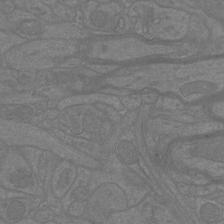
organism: Mouse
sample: Cortical neurons